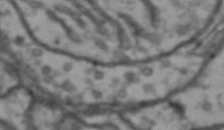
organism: Drosophila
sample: Brain